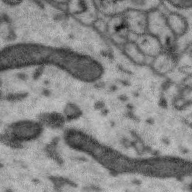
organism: Zebra finch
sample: Brain